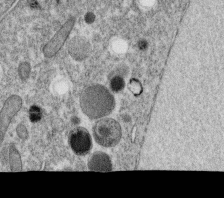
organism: C. elegans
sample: C. elegans oocyte; sperm cells